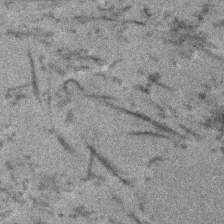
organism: Human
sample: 1205lu cells